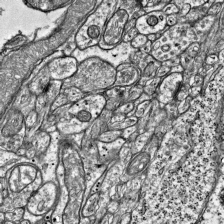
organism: Mouse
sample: Visual Cortex